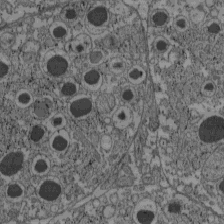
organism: C57BL Mouse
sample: Pancreatic islet